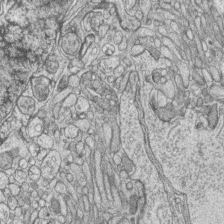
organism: Zebrafish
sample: synaptic ribbons in rod cells and cone cells